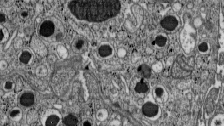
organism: C57BL Mouse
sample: Pancreatic islet